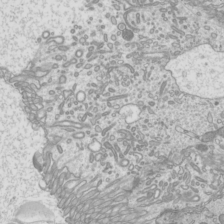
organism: Mouse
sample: Cilia; mouse epididymis